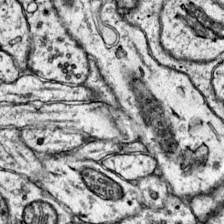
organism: Mouse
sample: Primary visual cortex